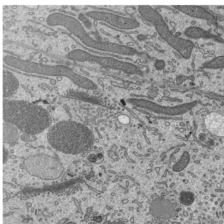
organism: Mouse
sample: Mouse epididymis efferent ductule cilia